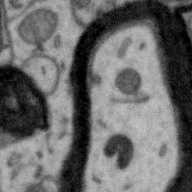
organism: Zebra finch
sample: Brain